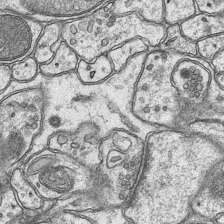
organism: Mouse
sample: CA1 Hippocampus